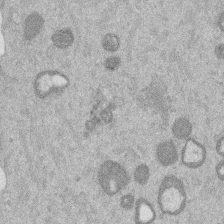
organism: Mouse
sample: Dividing mouse embryo 1 cell stage